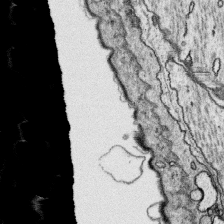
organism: Platynereis dumerilii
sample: Parapodia